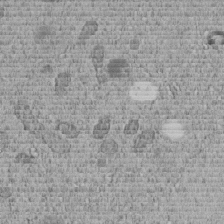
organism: C. elegans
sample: C. elegans embryo early stage